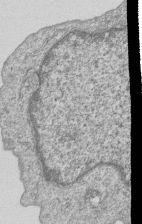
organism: Human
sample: MDA-MB-231 cells